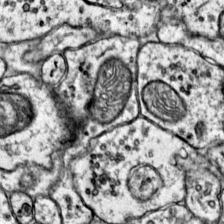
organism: Mouse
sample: Primary visual cortex